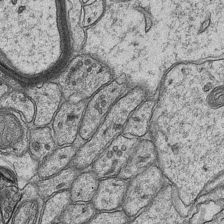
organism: Mouse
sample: CA1 Hippocampus